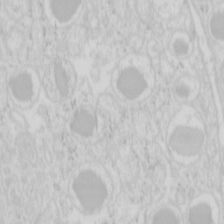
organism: Mouse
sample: Pancreas